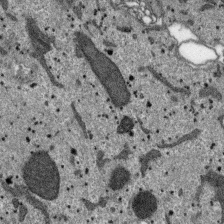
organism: Human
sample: Lung epithelial cells, uninfected (mock) control